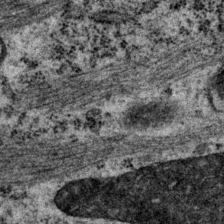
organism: P. pacificus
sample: Pharynx